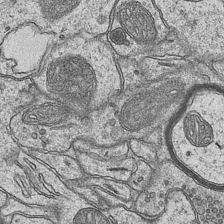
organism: Mouse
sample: CA1 Hippocampus